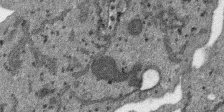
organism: Human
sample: Lung epithelial cells infected with SARS-CoV-2